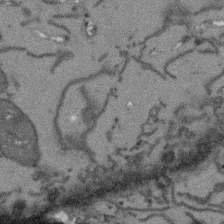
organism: Arabidopsis thaliana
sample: Root tip